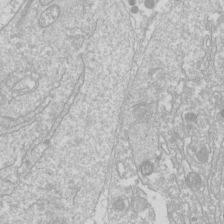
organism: Drosophila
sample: Cell division; meiosis; drosophila spermatocytes